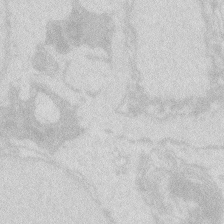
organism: Zebrafish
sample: Macrophage